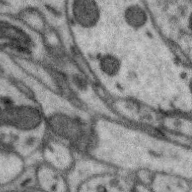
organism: Zebra finch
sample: Brain